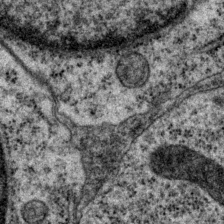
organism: P. pacificus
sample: Pharynx